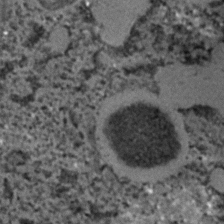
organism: C. elegans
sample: C. elegans embryo